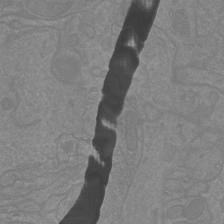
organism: Mouse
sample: Cortical neurons